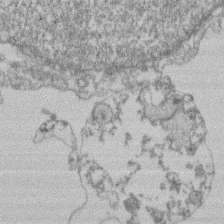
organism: Mouse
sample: T cell stromal cell synapse